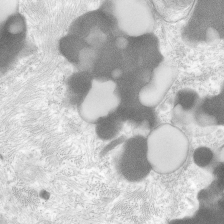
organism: Human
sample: Neocortex